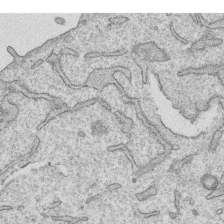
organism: Human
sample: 1205lu cells